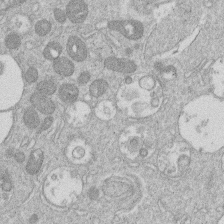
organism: Human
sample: Macrophage cells